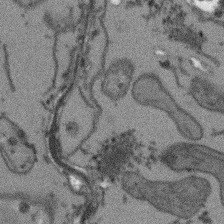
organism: Arabidopsis thaliana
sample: Root tip